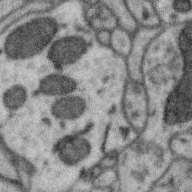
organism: Zebra finch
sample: Brain